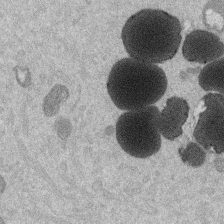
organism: Mouse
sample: Dividing mouse embryo 1 cell stage